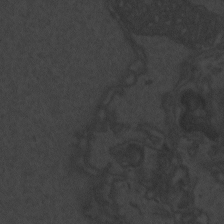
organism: Zebrafish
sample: Macrophage infected with Toxoplasma gondii